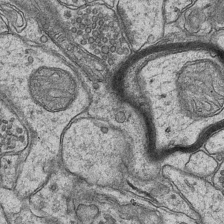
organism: Mouse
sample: CA1 Hippocampus